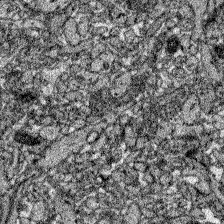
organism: Zebrafish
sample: Larval olfactory bulb